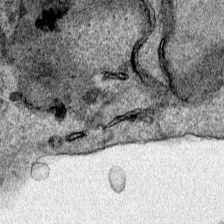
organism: Human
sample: Mitochondria in HCT116 cells